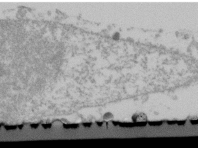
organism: Human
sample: U2-OS cells